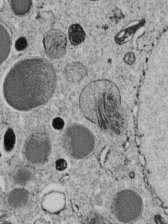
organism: C. elegans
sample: C. elegans embryo early stage